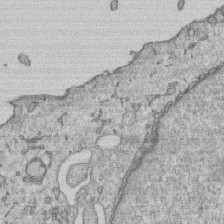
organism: Human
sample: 1205lu cells